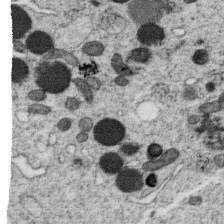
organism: C. elegans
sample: C. elegans oocyte; sperm cells